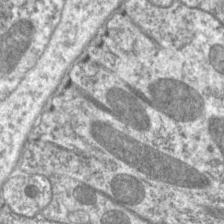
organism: C. elegans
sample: Pharynx